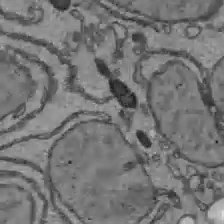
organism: C57BL Mouse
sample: Liver